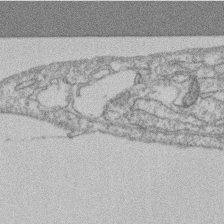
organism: Mouse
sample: T cell stromal cell synapse